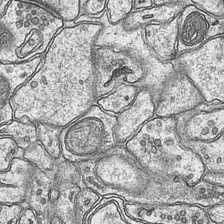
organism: Mouse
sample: CA1 Hippocampus